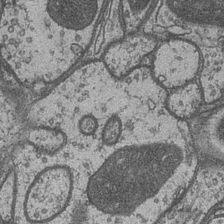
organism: Drosophila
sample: Optic medulla